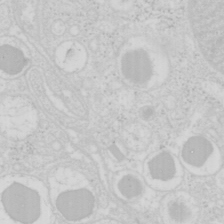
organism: Mouse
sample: Pancreas